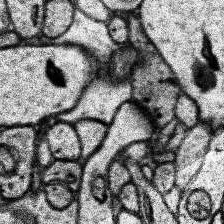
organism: Human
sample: Temporal Lobe